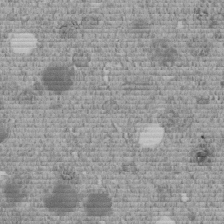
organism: C. elegans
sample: C. elegans embryo early stage